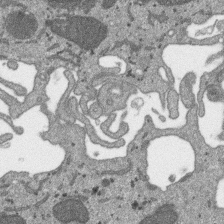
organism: Human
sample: Lung epithelial cells infected with SARS-CoV-2